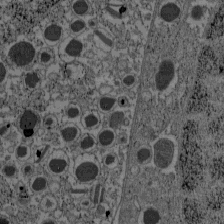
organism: C57BL Mouse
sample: Pancreatic islet